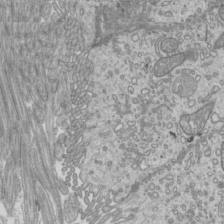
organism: Mouse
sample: Cilia; mouse epididymis